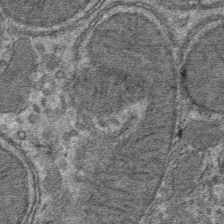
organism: Mouse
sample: Mouse hepatocytes